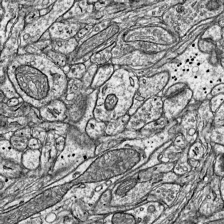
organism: Mouse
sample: Visual Cortex